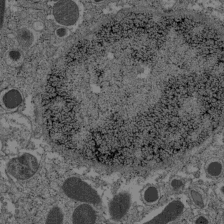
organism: C57BL Mouse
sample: Pancreatic islet